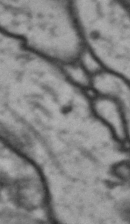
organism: Drosophila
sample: Brain